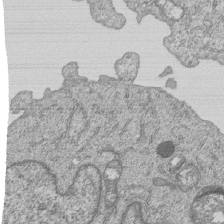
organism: Human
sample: MDA-MB-231 cells